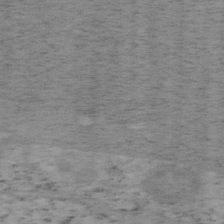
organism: Mouse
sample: OT-I killer T cells with ID8 ovarian cancer cells